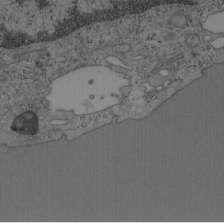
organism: Mouse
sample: OT-I killer T cells with ID8 ovarian cancer cells